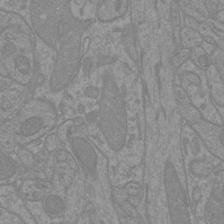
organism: Mouse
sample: Cortical neurons